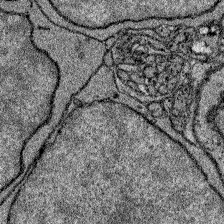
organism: Zebrafish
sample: Larval olfactory bulb